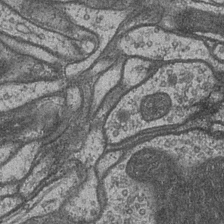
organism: Drosophila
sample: Optic medulla